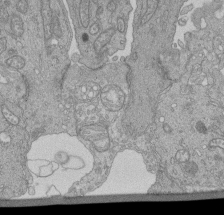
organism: Human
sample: Retinal organoid Rod and Cone cells